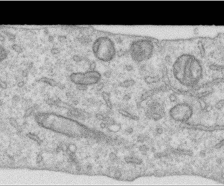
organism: Human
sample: Centriole in RPE cells